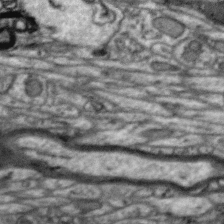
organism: Zebra finch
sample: Brain